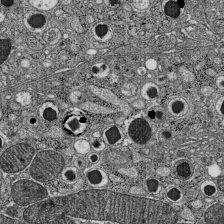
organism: C57BL Mouse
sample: Pancreatic islet